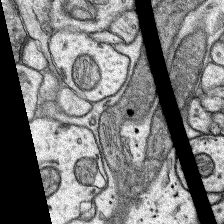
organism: Rat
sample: Hippocampus